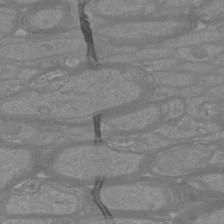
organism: Mouse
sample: Cortical neurons